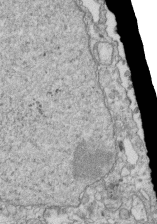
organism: Human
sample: HeLa cell HIV synapse